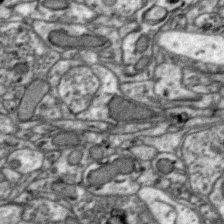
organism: Zebra finch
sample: Brain